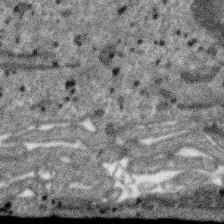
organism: Human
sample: Lung epithelial cells infected with SARS-CoV-2